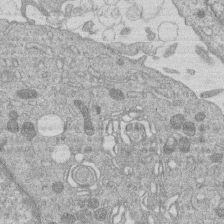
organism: Human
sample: Macrophage cells